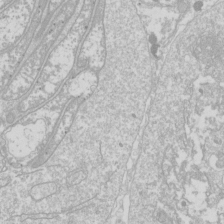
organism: Drosophila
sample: Cell division; meiosis; drosophila spermatocytes